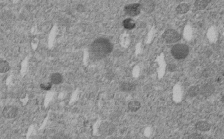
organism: C. elegans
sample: C. elegans embryo early stage